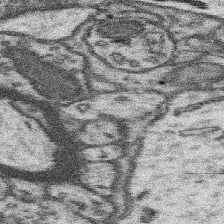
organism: Mouse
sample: Somatosensory cortex neuropil